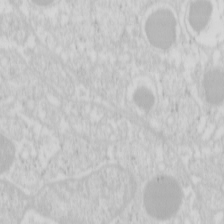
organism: Mouse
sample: Pancreas